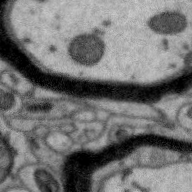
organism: Zebra finch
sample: Brain